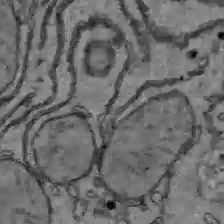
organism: C57BL Mouse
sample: Liver